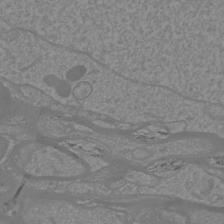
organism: Mouse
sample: Cortical neurons